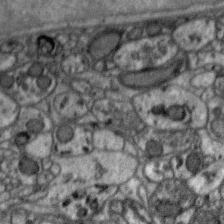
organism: Zebra finch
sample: Brain